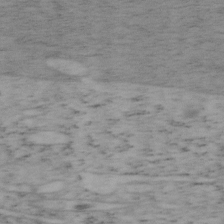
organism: Mouse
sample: OT-I killer T cells with ID8 ovarian cancer cells